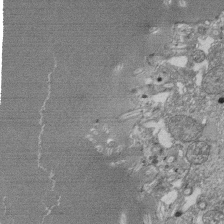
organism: Tetrahymena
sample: Cilia in tetrahymena